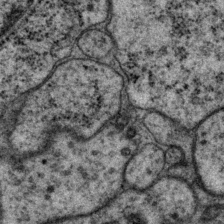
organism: P. pacificus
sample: Pharynx